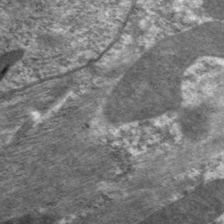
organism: C. elegans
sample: Pharynx